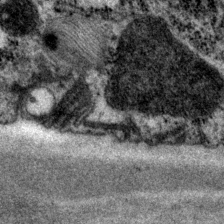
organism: P. pacificus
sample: Pharynx